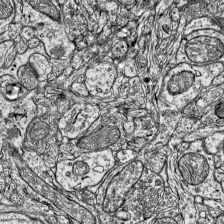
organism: Mouse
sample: Visual Cortex